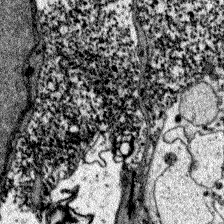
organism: Zebrafish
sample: Larval olfactory bulb